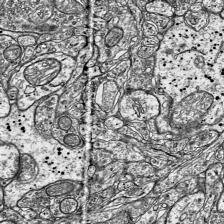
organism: Mouse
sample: Visual Cortex